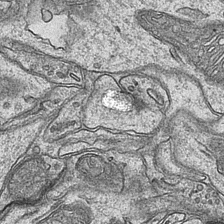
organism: Mouse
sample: CA1 Hippocampus